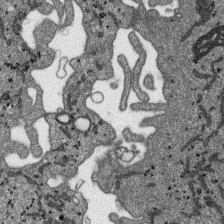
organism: Human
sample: Lung epithelial cells infected with SARS-CoV-2